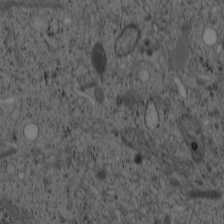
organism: African green monkey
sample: COS-7 cells